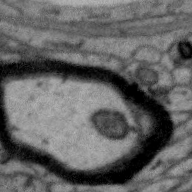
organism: Zebra finch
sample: Brain